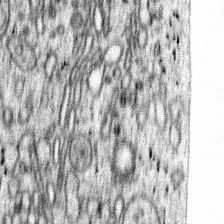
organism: Human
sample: HeLa cells